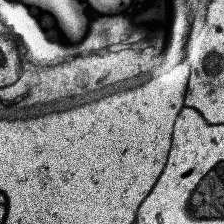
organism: Human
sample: Temporal Lobe